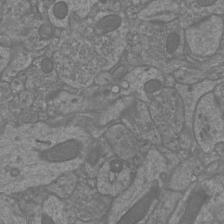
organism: Mouse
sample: Cortical neurons